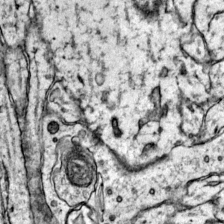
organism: Mouse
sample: Primary visual cortex